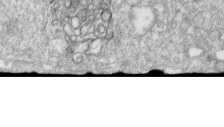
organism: Human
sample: HeLa cell HIV synapse